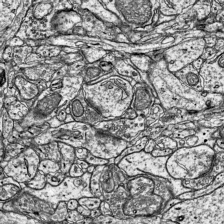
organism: Mouse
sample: Visual Cortex